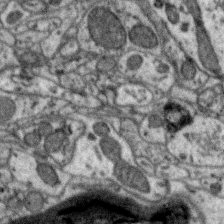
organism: Zebra finch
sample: Brain